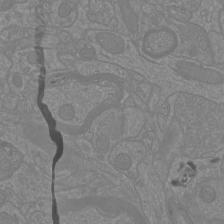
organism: Mouse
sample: Cortical neurons